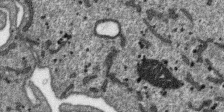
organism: Human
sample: Lung epithelial cells infected with SARS-CoV-2